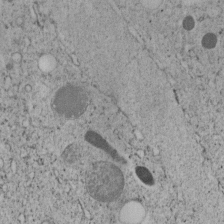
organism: C. elegans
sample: C. elegans embryo early stage